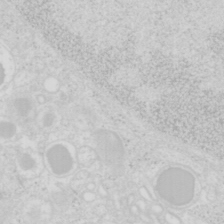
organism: Mouse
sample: Pancreas